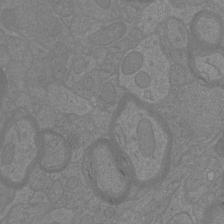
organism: Mouse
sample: Cortical neurons